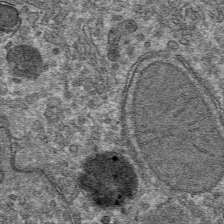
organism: Mouse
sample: Mouse hepatocytes